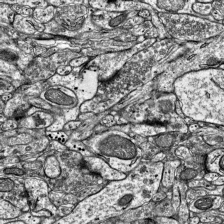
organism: Mouse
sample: Visual Cortex